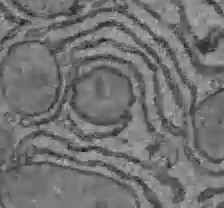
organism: C57BL Mouse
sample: Liver